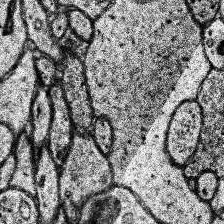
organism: Human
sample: Temporal Lobe